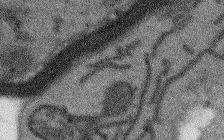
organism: Arabidopsis thaliana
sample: Root tip